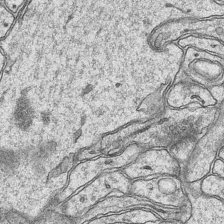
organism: Mouse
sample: CA1 Hippocampus